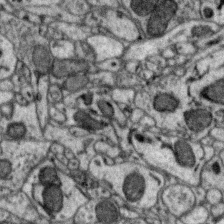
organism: Zebra finch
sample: Brain